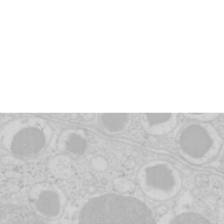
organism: Mouse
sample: Pancreas